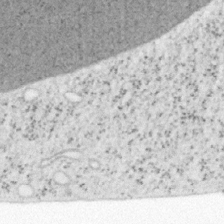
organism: Mouse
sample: OT-I killer T cells with ID8 ovarian cancer cells